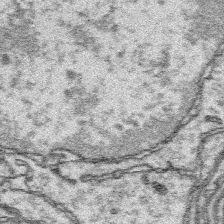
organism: Platynereis dumerilii